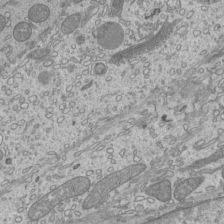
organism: Mouse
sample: Cilia; mouse epididymis